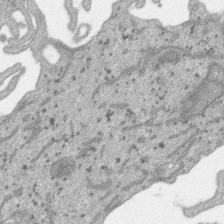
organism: Human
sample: Lung epithelial cells infected with SARS-CoV-2